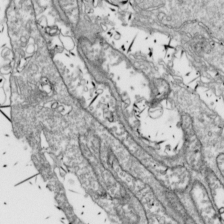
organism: Drosophila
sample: Cell division; meiosis; drosophila spermatocytes